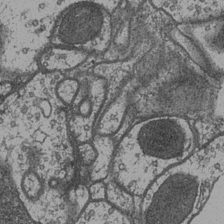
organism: Drosophila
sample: Optic medulla